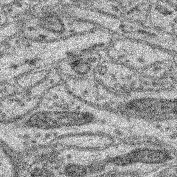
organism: Mouse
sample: Retina